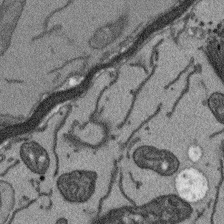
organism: Arabidopsis thaliana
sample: Root tip